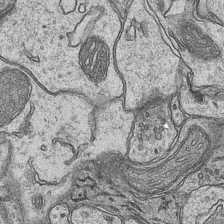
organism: Mouse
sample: CA1 Hippocampus